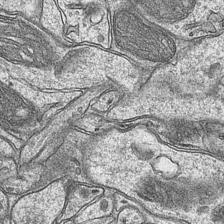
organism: Mouse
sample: CA1 Hippocampus